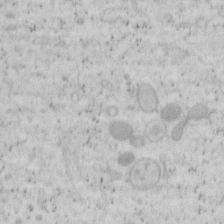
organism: Human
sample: HeLa cells